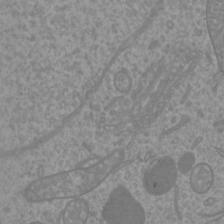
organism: Mouse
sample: Cortical neurons